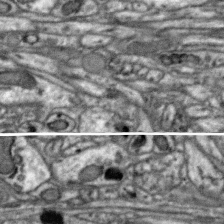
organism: Zebra finch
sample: Brain